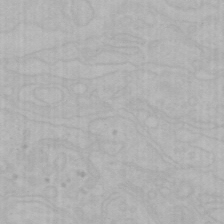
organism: Mouse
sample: Choroid plexus